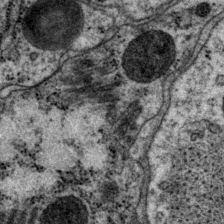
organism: P. pacificus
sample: Pharynx